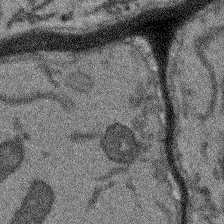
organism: Arabidopsis thaliana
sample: Root tip